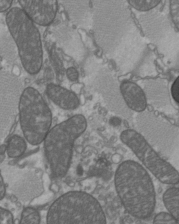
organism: C57BL Mouse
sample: Heart